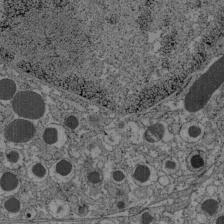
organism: C57BL Mouse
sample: Pancreatic islet